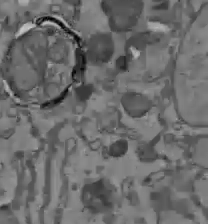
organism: C57BL Mouse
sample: Liver